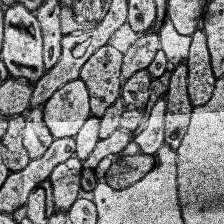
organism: Human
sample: Temporal Lobe